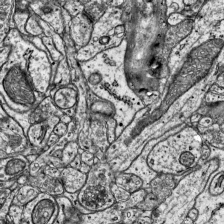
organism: Mouse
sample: Visual Cortex